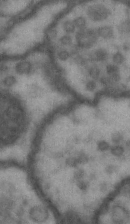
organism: Drosophila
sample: Brain